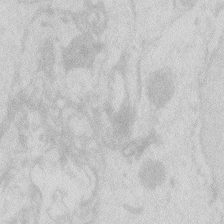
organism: Zebrafish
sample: Macrophage